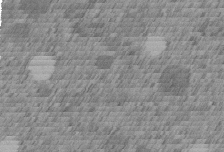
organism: C. elegans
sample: C. elegans embryo early stage